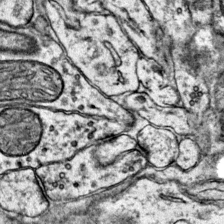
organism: Mouse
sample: Primary visual cortex